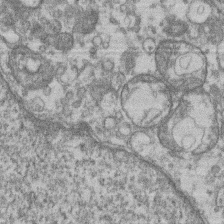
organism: Mouse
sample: T cell stromal cell synapse